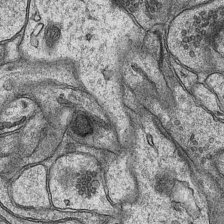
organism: Mouse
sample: CA1 Hippocampus